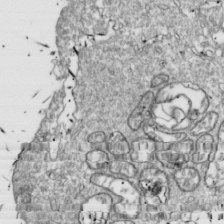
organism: Drosophila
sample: Cell division; meiosis; drosophila spermatocytes